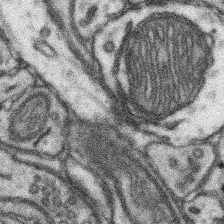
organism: Mouse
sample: Somatosensory cortex neuropil